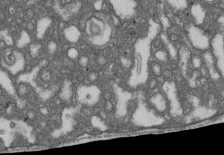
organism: Drosophila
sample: Nephrocyte